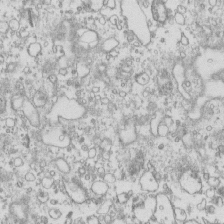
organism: Mouse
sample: Macrophages